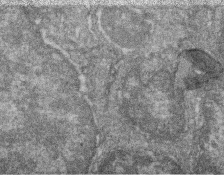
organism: Zebrafish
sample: Cilia; retinal pigment epithelium